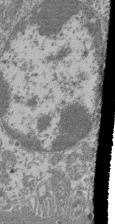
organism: Mouse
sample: Glomerulus